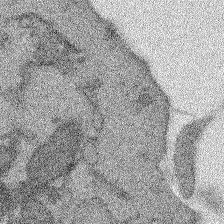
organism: Human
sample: HeLa cells